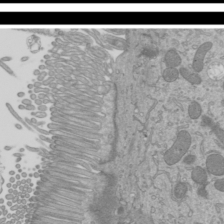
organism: Mouse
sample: Cilia; mouse epididymis